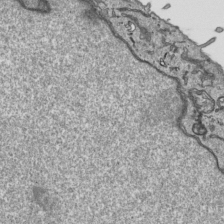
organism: Human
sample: Mitochondria in HCT116 cells